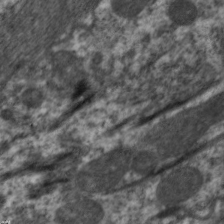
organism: C. elegans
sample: Pharynx